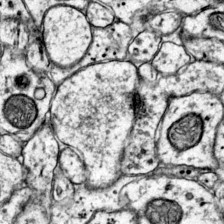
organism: Mouse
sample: Primary visual cortex